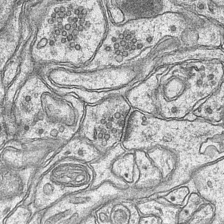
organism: Mouse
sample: CA1 Hippocampus